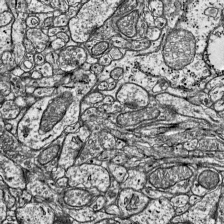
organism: Mouse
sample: Visual Cortex